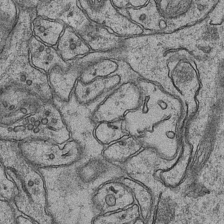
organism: Mouse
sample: CA1 Hippocampus